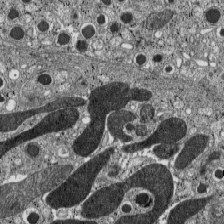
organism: C57BL Mouse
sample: Pancreatic islet